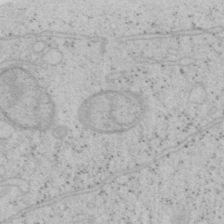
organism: Human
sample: HeLa cells